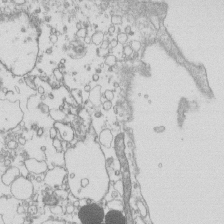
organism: Mouse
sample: Macrophages